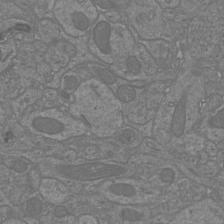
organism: Mouse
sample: Cortical neurons